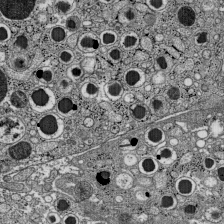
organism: C57BL Mouse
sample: Pancreatic islet